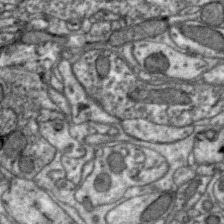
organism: Zebra finch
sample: Brain